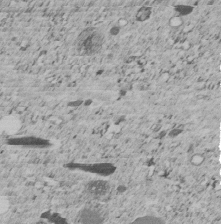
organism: C. elegans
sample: C. elegans embryo early stage